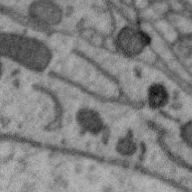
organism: Zebra finch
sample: Brain